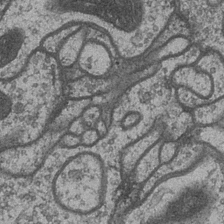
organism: Drosophila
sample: Optic medulla